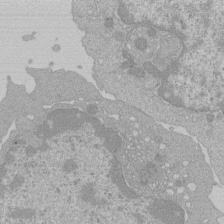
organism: Mouse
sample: Activated Pmel transgenic CD8+ T Cells